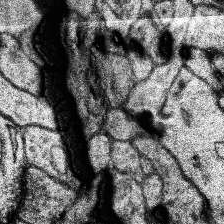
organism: Human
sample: Temporal Lobe